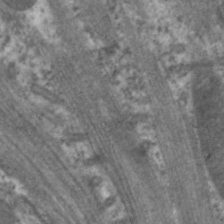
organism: C. elegans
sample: Pharynx